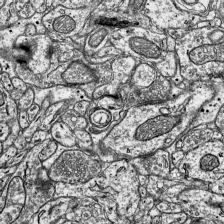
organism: Mouse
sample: Visual Cortex